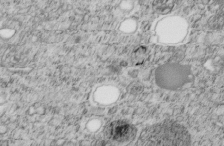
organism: C. elegans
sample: C. elegans embryo early stage